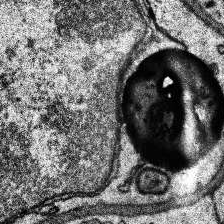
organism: Human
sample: Temporal Lobe